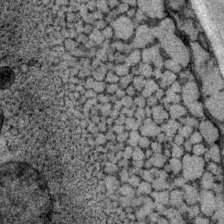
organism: P. pacificus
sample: Pharynx